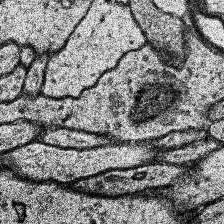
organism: Human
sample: Temporal Lobe